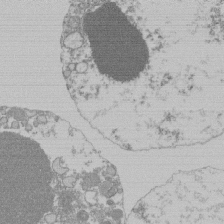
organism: Mouse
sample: Activated Pmel transgenic CD8+ T Cells